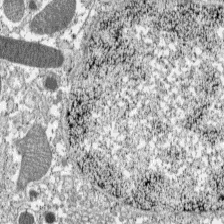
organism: C57BL Mouse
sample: Pancreatic islet